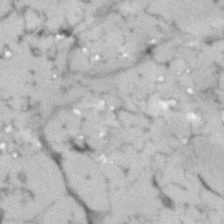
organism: Human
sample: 1205lu cells